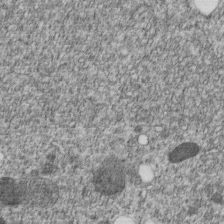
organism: C. elegans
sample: C. elegans embryo early stage